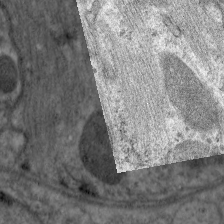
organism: C. elegans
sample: Pharynx